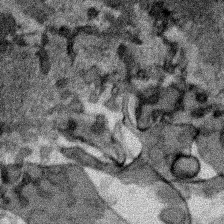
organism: Human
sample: Mitochondria in HCT116 cells